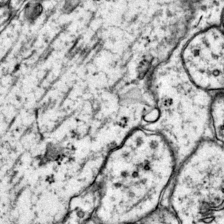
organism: Mouse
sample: Primary visual cortex